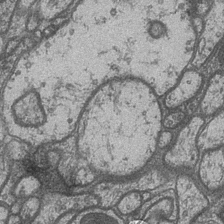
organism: Drosophila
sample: Optic medulla